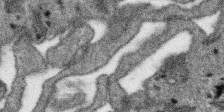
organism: Human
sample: Lung epithelial cells infected with SARS-CoV-2